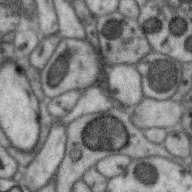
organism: Zebra finch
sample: Brain